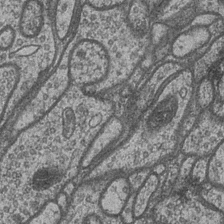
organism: Drosophila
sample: Optic medulla